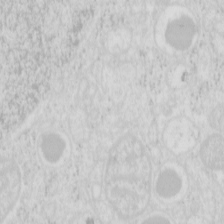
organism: Mouse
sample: Pancreas